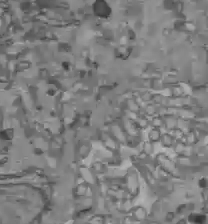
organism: C57BL Mouse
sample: Liver